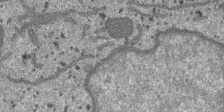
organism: Human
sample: Lung epithelial cells infected with SARS-CoV-2